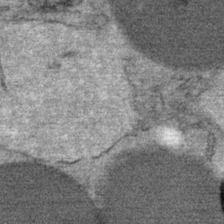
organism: Mouse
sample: Mouse Salivary gland